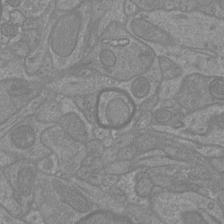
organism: Mouse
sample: Cortical neurons